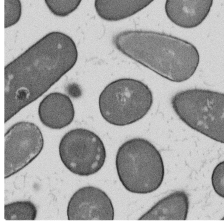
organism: B. subtilis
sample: Bacterial spore